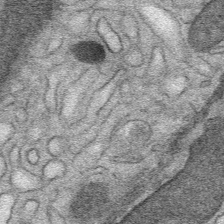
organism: Mouse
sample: Mouse Salivary gland